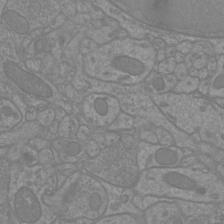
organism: Mouse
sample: Cortical neurons